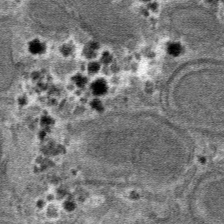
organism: Mouse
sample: Mouse hepatocytes